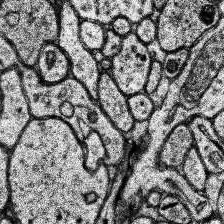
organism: Human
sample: Temporal Lobe